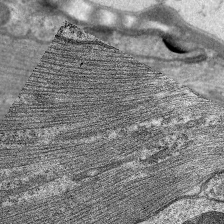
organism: C. elegans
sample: Pharynx